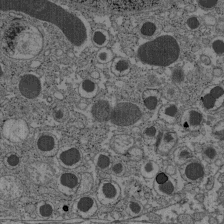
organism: C57BL Mouse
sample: Pancreatic islet